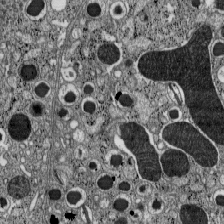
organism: C57BL Mouse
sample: Pancreatic islet